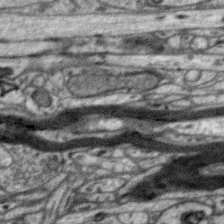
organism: Zebra finch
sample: Brain